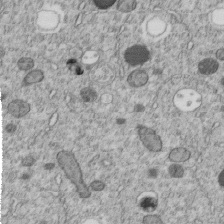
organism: C. elegans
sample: C. elegans embryo early stage